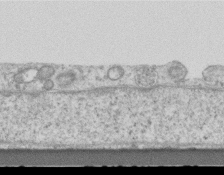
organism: Mouse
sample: Centriole in ependymal cells